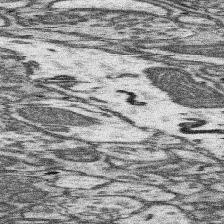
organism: Mouse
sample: Somatosensory cortex neuropil